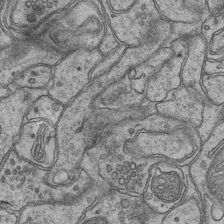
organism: Mouse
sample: CA1 Hippocampus